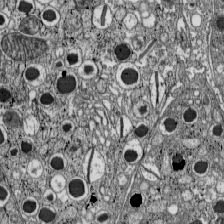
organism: C57BL Mouse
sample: Pancreatic islet